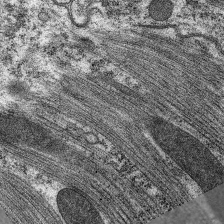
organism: C. elegans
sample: Pharynx